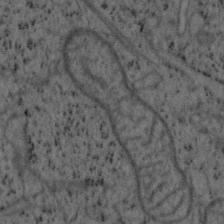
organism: Human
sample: HeLa cells